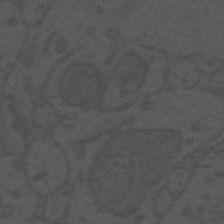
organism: Mouse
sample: Suprachiasmatic nucleus